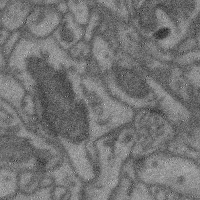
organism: Mouse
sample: Cerebral cortex